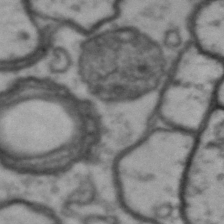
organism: Drosophila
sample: Brain